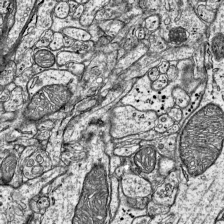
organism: Mouse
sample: Visual Cortex